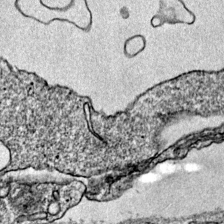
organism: Mouse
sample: Primary visual cortex